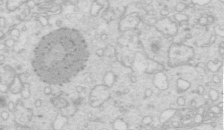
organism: Mouse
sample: Multiciliated cells